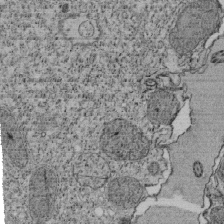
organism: Tetrahymena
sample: Cilia in tetrahymena